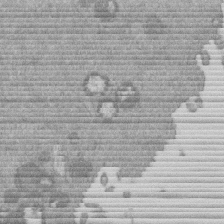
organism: Mouse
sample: Dividing mouse embryo 1 cell stage